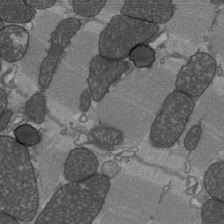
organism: C57BL Mouse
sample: Heart